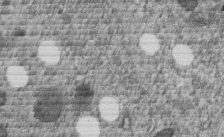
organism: C. elegans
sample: C. elegans embryo early stage